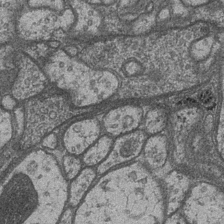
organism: Drosophila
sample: Optic medulla